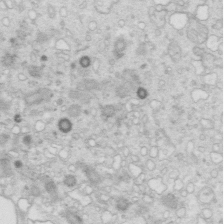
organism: Mouse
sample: Multiciliated cells